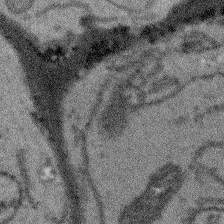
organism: Arabidopsis thaliana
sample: Root tip